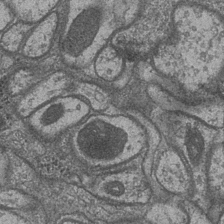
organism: Drosophila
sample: Optic medulla